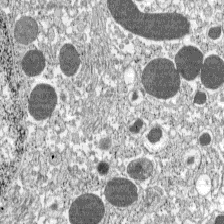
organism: C57BL Mouse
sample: Pancreatic islet